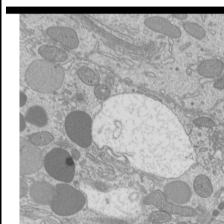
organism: Mouse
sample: Cilia; mouse epididymis